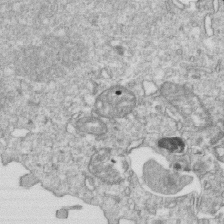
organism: Mouse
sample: Activated OT-1 CD8+ T cells